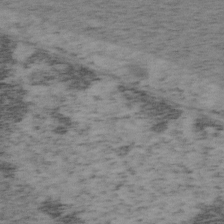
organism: Mouse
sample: OT-I killer T cells with ID8 ovarian cancer cells